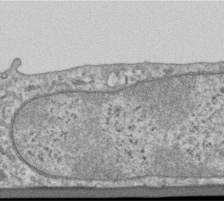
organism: Human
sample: Centriole in RPE cells